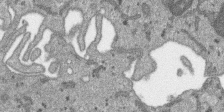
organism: Human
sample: Lung epithelial cells infected with SARS-CoV-2